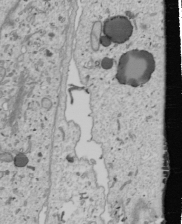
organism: Human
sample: Mitochondria in U2OS cells